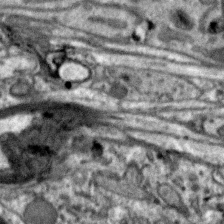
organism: Zebra finch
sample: Brain